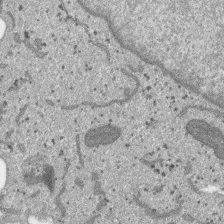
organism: Human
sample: Lung epithelial cells infected with SARS-CoV-2